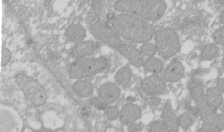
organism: Xenopus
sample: Cilia; centrioles in frog embryo cells